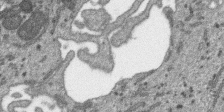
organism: Human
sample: Lung epithelial cells infected with SARS-CoV-2